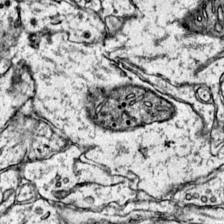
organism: Mouse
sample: Primary visual cortex